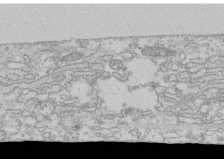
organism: Human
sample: CRL-1474